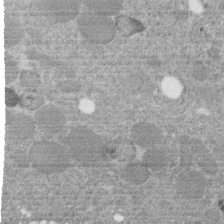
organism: C. elegans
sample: C. elegans embryo early stage